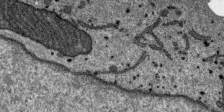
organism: Human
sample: Lung epithelial cells, uninfected (mock) control